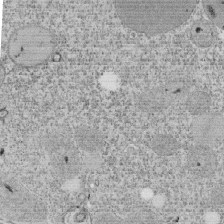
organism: Tetrahymena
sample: Cilia in tetrahymena